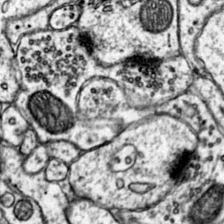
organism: Mouse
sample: Primary visual cortex